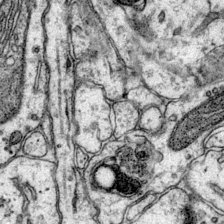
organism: Mouse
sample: Primary visual cortex